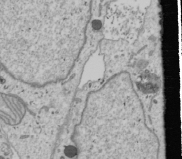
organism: Human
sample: Mitochondria in U2OS cells